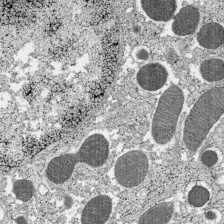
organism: C57BL Mouse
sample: Pancreatic islet